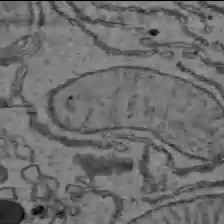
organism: C57BL Mouse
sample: Liver